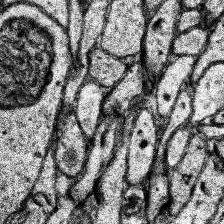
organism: Human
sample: Temporal Lobe